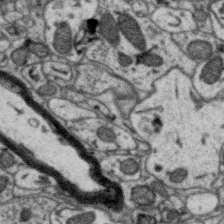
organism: Zebra finch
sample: Brain